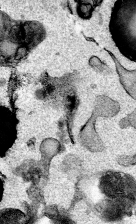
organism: Mouse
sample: Cancer cell death in ED-1 cells